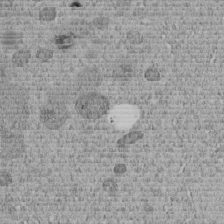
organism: C. elegans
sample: C. elegans embryo early stage